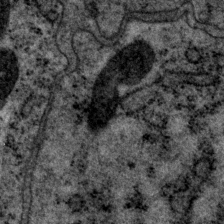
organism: P. pacificus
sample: Pharynx